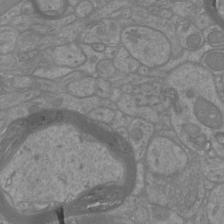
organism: Mouse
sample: Cortical neurons